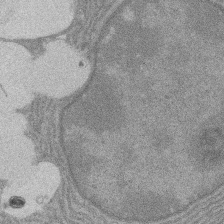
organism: Rat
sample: Salivary granule